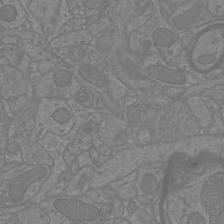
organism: Mouse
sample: Cortical neurons